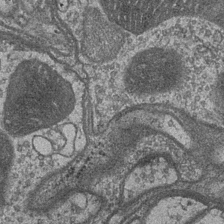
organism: Drosophila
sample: Optic medulla